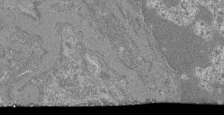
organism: Mouse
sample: Glomerulus